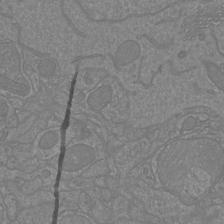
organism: Mouse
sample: Cortical neurons